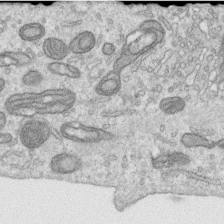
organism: Human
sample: Centriole in RPE cells